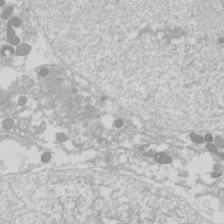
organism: Drosophila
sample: Cell division; meiosis; drosophila spermatocytes